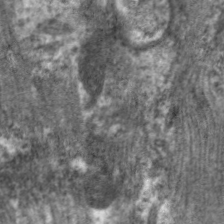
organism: C. elegans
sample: Pharynx